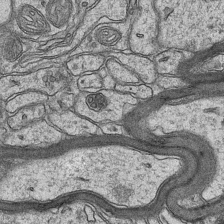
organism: Mouse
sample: CA1 Hippocampus